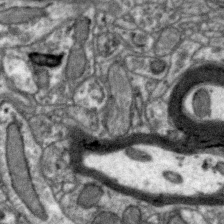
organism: Zebra finch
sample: Brain